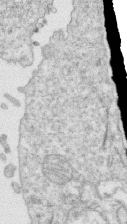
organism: Human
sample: HeLa cell HIV synapse